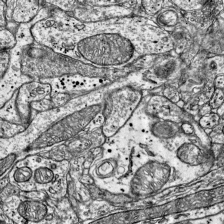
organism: Mouse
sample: Visual Cortex